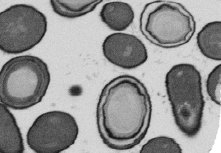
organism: B. subtilis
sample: Bacterial spore